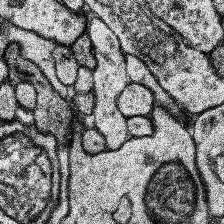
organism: Human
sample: Temporal Lobe